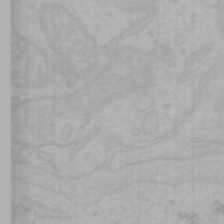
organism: Mouse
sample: Choroid plexus